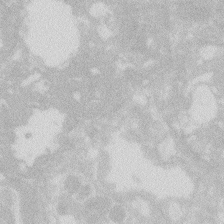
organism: Zebrafish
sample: Macrophage